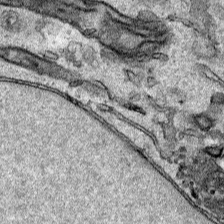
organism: Human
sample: Mitochondria in HCT116 cells